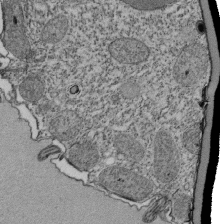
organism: Tetrahymena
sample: Cilia in tetrahymena